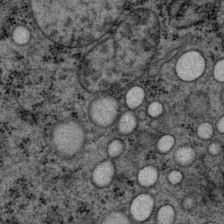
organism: P. pacificus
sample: Pharynx